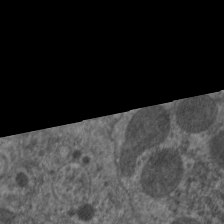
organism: C. elegans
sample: Pharynx